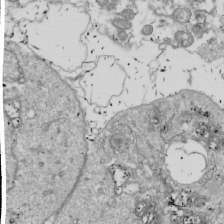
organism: Drosophila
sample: Cell division; meiosis; drosophila spermatocytes